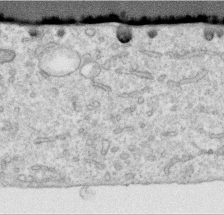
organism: Human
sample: Centriole in RPE cells